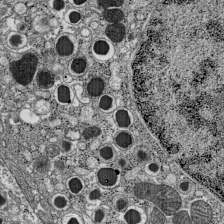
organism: C57BL Mouse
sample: Pancreatic islet